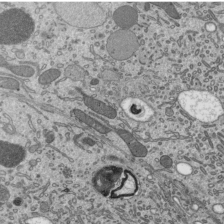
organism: Mouse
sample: Mouse epididymis efferent ductule cilia